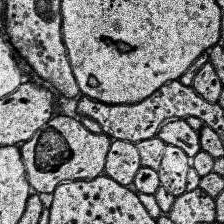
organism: Human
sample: Temporal Lobe